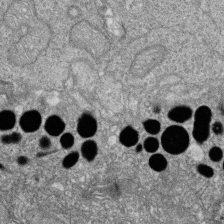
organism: Zebrafish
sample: Cilia; retinal pigment epithelium